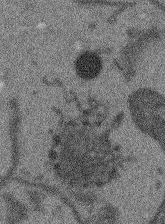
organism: Arabidopsis thaliana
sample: Root tip